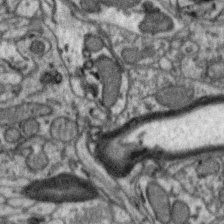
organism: Zebra finch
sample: Brain